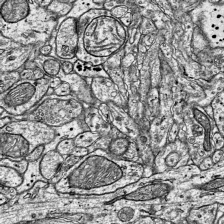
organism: Mouse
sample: Visual Cortex